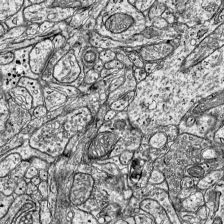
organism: Mouse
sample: Visual Cortex